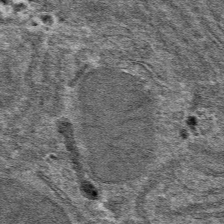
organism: Mouse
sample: Mouse hepatocytes